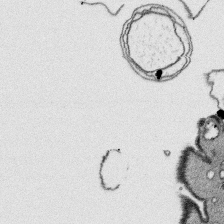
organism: Platynereis dumerilii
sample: Parapodia